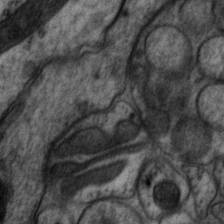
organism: P. pacificus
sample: Pharynx